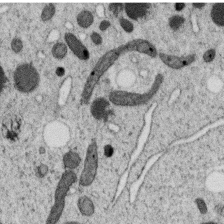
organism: C. elegans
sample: C. elegans oocyte; sperm cells